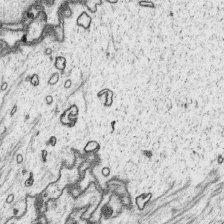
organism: Platynereis dumerilii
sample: Parapodia